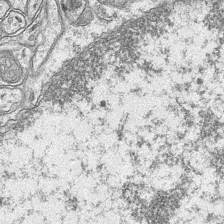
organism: Mouse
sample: CA1 Hippocampus